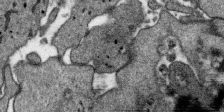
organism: Human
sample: Lung epithelial cells, uninfected (mock) control